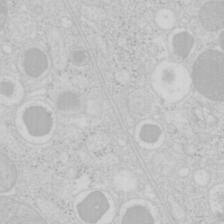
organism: Mouse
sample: Pancreas